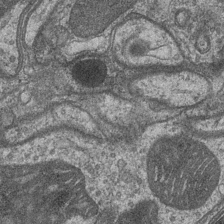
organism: Drosophila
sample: Optic medulla